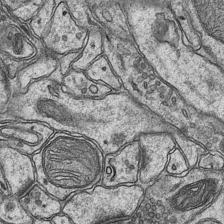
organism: Mouse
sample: CA1 Hippocampus